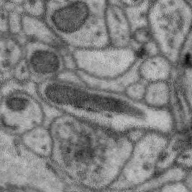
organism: Zebra finch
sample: Brain